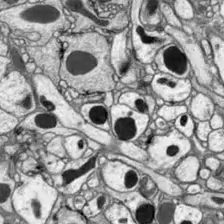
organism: Drosophila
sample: Optic lobe